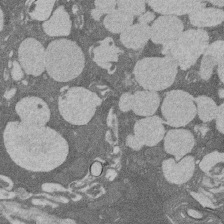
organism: Rat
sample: Salivary granule